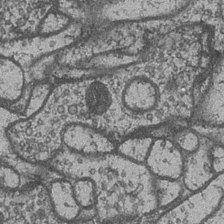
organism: Drosophila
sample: Optic medulla